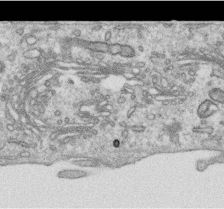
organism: Human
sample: Centriole in RPE cells